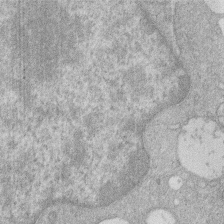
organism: Human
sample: Macrophage cells